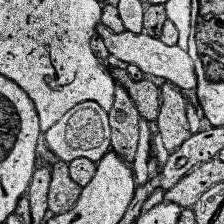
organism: Human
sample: Temporal Lobe